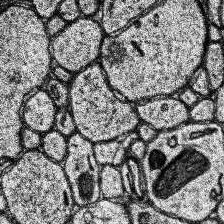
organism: Human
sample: Temporal Lobe